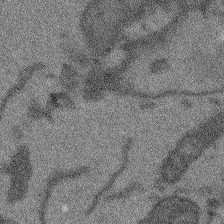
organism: Arabidopsis thaliana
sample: Root tip